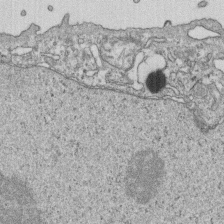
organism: Human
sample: HeLa cell HIV synapse